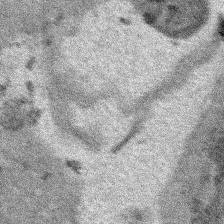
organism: Human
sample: Mitochondria in HCT116 cells